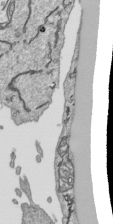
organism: Human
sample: Mitochondria in HCT116 cells